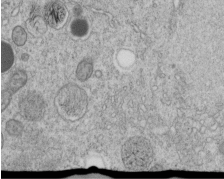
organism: C. elegans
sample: C. elegans embryo early stage